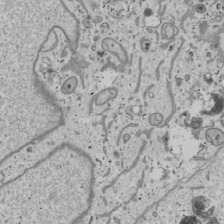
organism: Human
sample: Mitochondria in U2OS cells